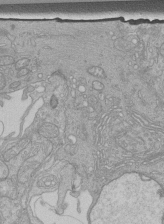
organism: Human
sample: Retinal organoid Rod and Cone cells